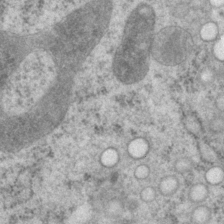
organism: P. pacificus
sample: Pharynx